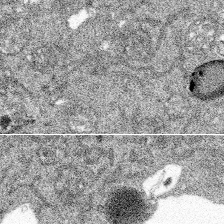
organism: Spongilla lacustris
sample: Multiple